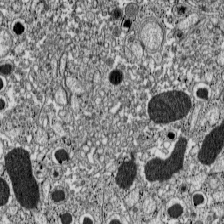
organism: C57BL Mouse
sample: Pancreatic islet